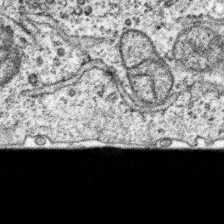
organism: Human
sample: HeLa cells